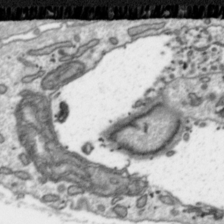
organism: Toxoplasma gondii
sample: Parasites in a vacuole inside a host cell